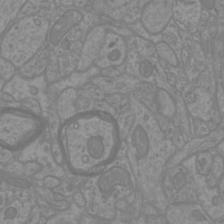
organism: Mouse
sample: Cortical neurons